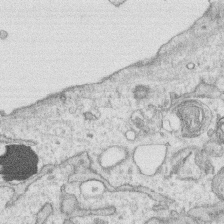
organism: Human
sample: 1205lu cells